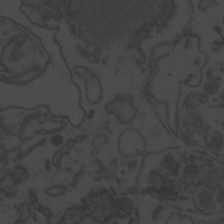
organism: Zebrafish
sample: Macrophage infected with Toxoplasma gondii